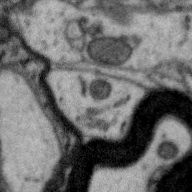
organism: Zebra finch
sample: Brain